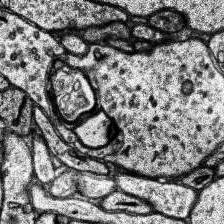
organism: Human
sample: Temporal Lobe